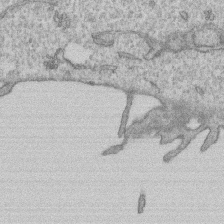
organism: Human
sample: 1205lu cells